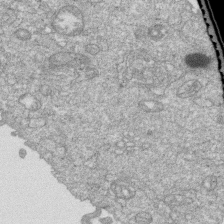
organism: Human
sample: HeLa cell HIV synapse